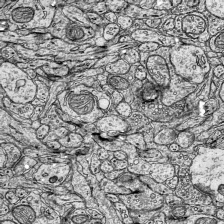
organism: Mouse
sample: Visual Cortex